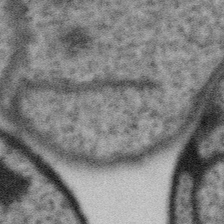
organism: Gemmata obscuriglobus